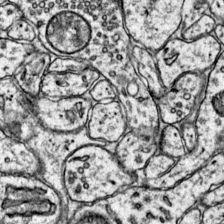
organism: Mouse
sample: Primary visual cortex